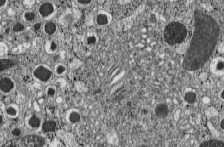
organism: C57BL Mouse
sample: Pancreatic islet